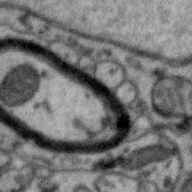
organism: Zebra finch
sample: Brain